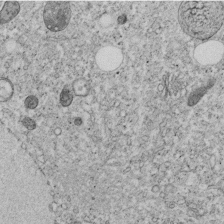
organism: C. elegans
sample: C. elegans embryo early stage